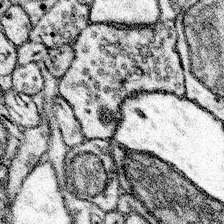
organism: Mouse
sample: Somatosensory cortex neuropil